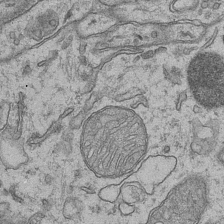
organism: Mouse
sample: CA1 Hippocampus